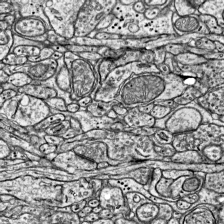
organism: Mouse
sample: Visual Cortex